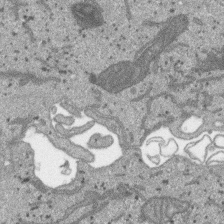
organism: Human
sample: Lung epithelial cells infected with SARS-CoV-2